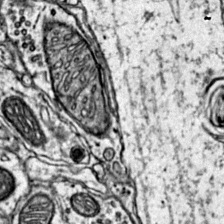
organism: Mouse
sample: Primary visual cortex